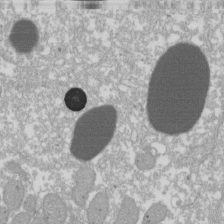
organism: Xenopus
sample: Cilia; centrioles in frog embryo cells